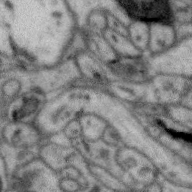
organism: Zebra finch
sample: Brain